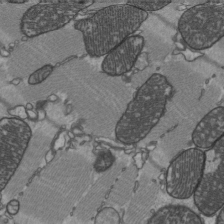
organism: C57BL Mouse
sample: Heart